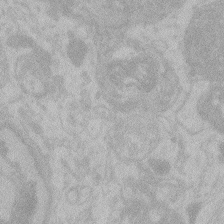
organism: Zebrafish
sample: Macrophage infected with Toxoplasma gondii